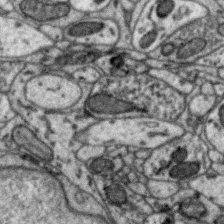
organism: Zebra finch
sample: Brain